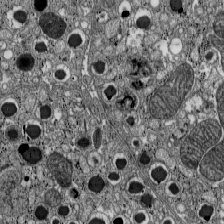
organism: C57BL Mouse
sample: Pancreatic islet